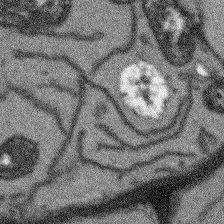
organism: Arabidopsis thaliana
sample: Root tip